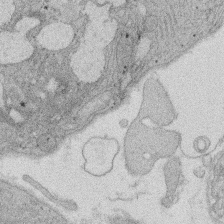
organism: Rat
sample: Salivary granule